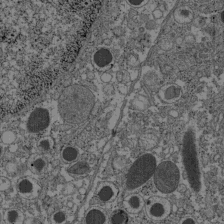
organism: C57BL Mouse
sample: Pancreatic islet